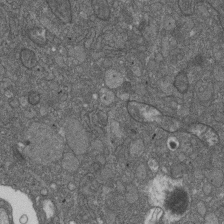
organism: Drosophila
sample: Nephrocyte